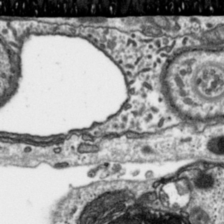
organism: Toxoplasma gondii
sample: Parasites in a vacuole inside a host cell